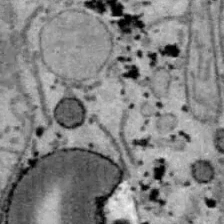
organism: Mouse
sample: Liver from an obese (ob/ob) mouse